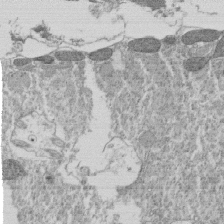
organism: Tetrahymena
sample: Cilia in tetrahymena